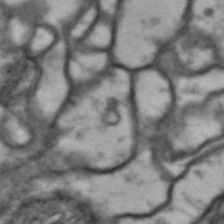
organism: Drosophila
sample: Brain